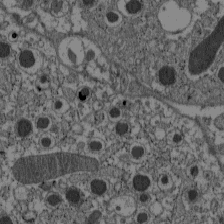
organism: C57BL Mouse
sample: Pancreatic islet